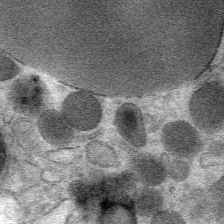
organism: Mouse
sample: Mouse Salivary gland